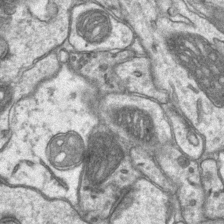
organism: Mouse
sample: CA1 Hippocampus